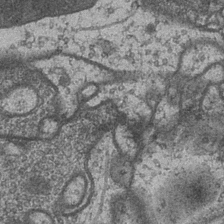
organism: Drosophila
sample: Optic medulla